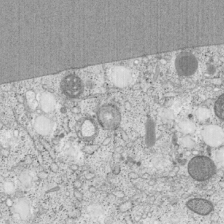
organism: African green monkey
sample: COS-7 cells